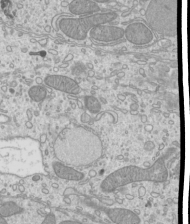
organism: Mouse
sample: Cilia; mouse epididymis